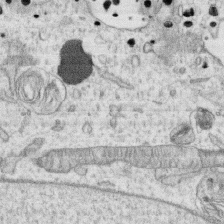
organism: Human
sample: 1205lu cells